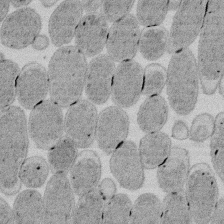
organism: E. coli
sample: Bacterial nucleoid